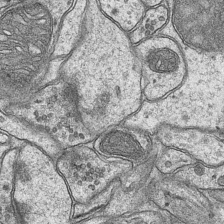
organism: Mouse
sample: CA1 Hippocampus